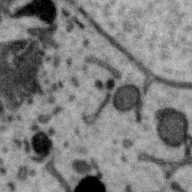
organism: Zebra finch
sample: Brain